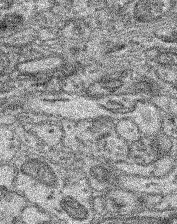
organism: Mouse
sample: Retina